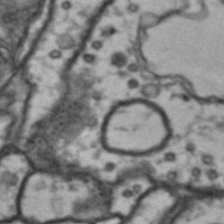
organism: Drosophila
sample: Brain